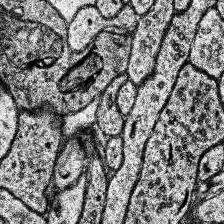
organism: Human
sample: Temporal Lobe